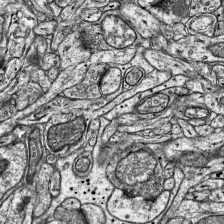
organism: Mouse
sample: Visual Cortex